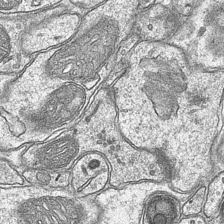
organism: Mouse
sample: CA1 Hippocampus